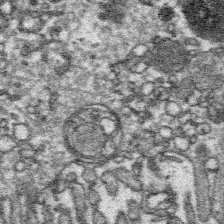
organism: Platynereis dumerilii